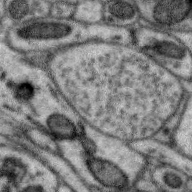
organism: Zebra finch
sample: Brain